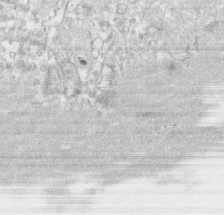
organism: Human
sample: CRL-1474